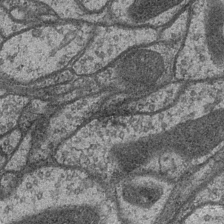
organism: Drosophila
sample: Optic medulla